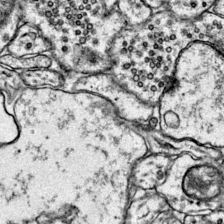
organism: Mouse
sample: Primary visual cortex